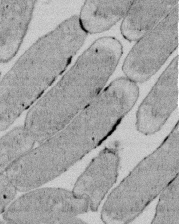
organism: E. coli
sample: Bacterial nucleoid